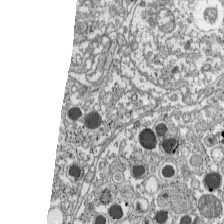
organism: C57BL Mouse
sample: Pancreatic islet